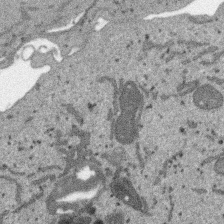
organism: Human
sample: Lung epithelial cells infected with SARS-CoV-2